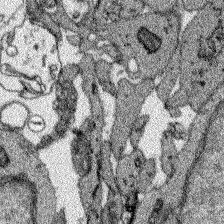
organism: Zebrafish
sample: Larval olfactory bulb